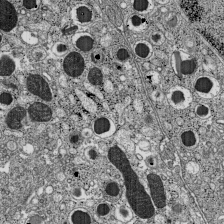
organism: C57BL Mouse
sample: Pancreatic islet